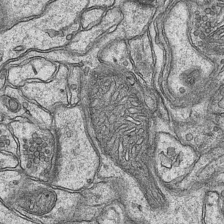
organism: Mouse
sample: CA1 Hippocampus